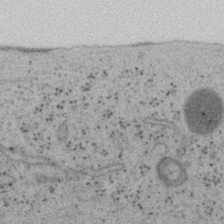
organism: Human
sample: HeLa cells